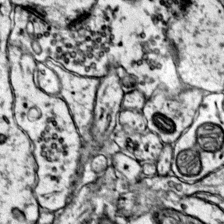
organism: Mouse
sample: Primary visual cortex